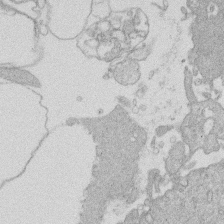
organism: Human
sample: Macrophage cells